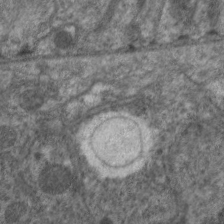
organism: C. elegans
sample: Pharynx